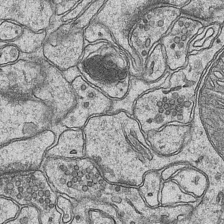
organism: Mouse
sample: CA1 Hippocampus